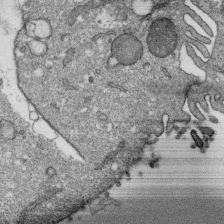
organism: African green monkey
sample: Vero E6 cells infected with SARS-CoV-2